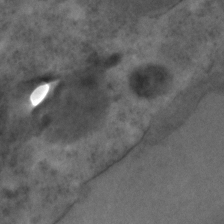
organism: C. elegans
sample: C. elegans embryo